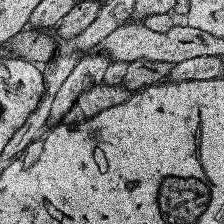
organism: Human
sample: Temporal Lobe